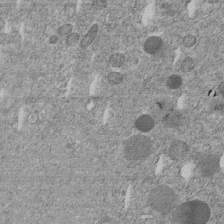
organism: C. elegans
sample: C. elegans embryo early stage